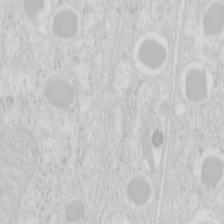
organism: Mouse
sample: Pancreas